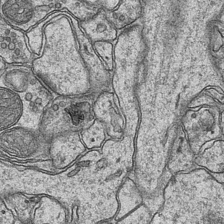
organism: Mouse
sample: CA1 Hippocampus